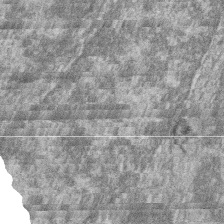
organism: Zebrafish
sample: Cilia; retinal pigment epithelium